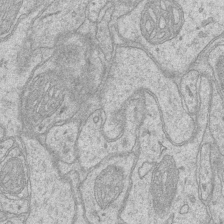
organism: Mouse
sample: CA1 Hippocampus